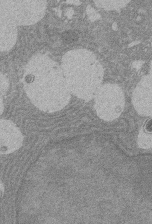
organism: Rat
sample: Salivary granule